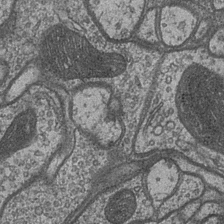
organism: Drosophila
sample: Optic medulla